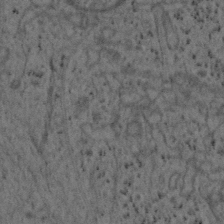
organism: Human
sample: HeLa cells